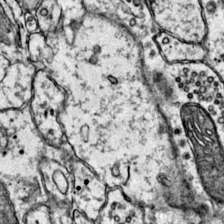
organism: Mouse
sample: Primary visual cortex